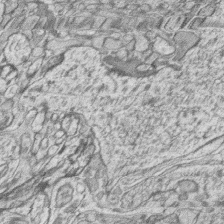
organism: Zebrafish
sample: synaptic ribbons in rod cells and cone cells